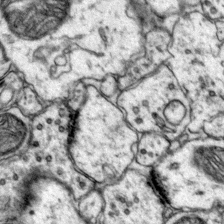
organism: Mouse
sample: Primary visual cortex